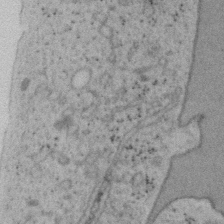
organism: Human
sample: HeLa cells